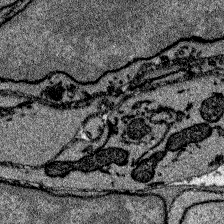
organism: Zebrafish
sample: Larval olfactory bulb